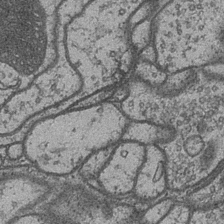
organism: Drosophila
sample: Optic medulla